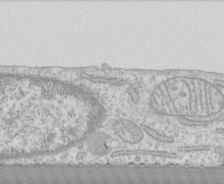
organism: Human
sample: CRL-1474